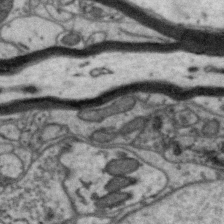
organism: Zebra finch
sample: Brain